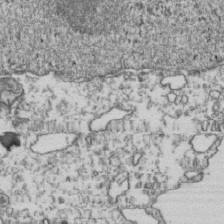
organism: Human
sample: Activated Jurkat CD4+ T cells